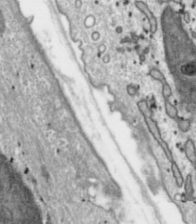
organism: Toxoplasma gondii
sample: Parasites in a vacuole inside a host cell